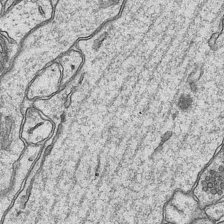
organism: Mouse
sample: CA1 Hippocampus